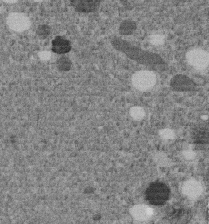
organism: C. elegans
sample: C. elegans embryo early stage